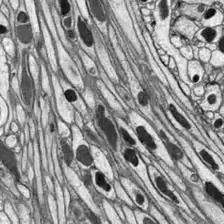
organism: Drosophila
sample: Optic lobe